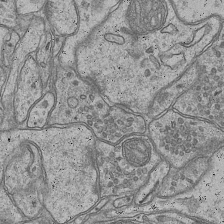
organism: Mouse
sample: CA1 Hippocampus